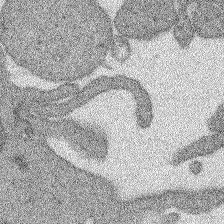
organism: Human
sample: HeLa cells